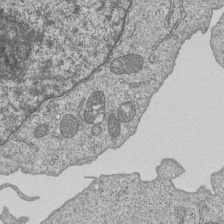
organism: Human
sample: MDA-MB-231 cells